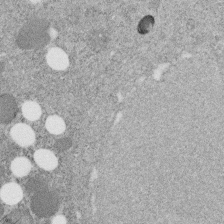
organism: C. elegans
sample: C. elegans embryo early stage